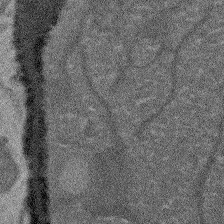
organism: Arabidopsis thaliana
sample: Root tip